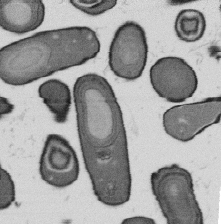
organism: B. subtilis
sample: Bacterial spore